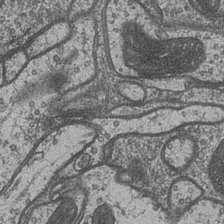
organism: Drosophila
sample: Optic medulla